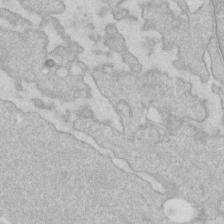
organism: Human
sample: Fibroblast cells